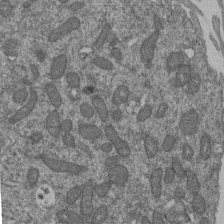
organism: Human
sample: Retinal organoid Rod and Cone cells